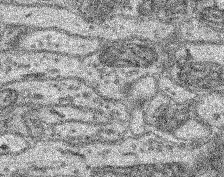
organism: Mouse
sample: Retina